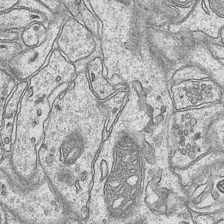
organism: Mouse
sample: CA1 Hippocampus